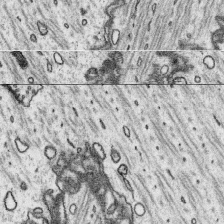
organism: Platynereis dumerilii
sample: Parapodia